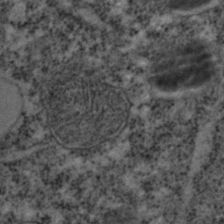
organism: C. elegans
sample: C. elegans embryo